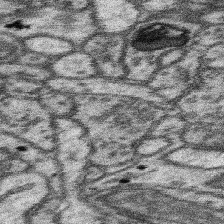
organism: Mouse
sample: Somatosensory cortex neuropil